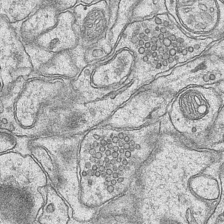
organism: Mouse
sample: CA1 Hippocampus